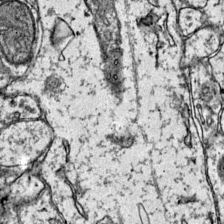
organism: Mouse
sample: Primary visual cortex